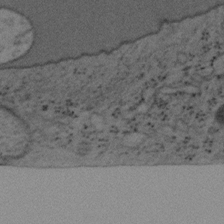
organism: Human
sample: HeLa cells